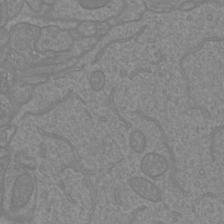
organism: Mouse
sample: Cortical neurons